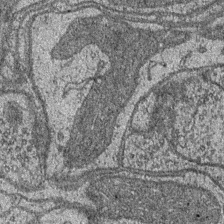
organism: Drosophila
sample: Optic medulla